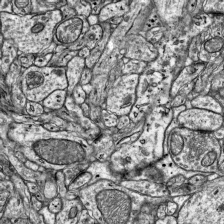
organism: Mouse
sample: Visual Cortex